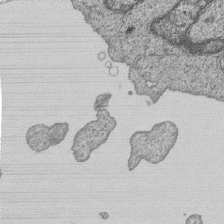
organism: Human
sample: MDA-MB-231 cells